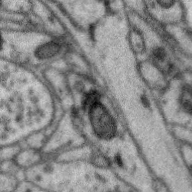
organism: Zebra finch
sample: Brain